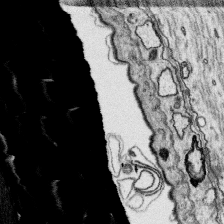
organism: Platynereis dumerilii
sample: Parapodia